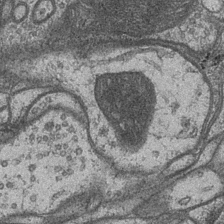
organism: Drosophila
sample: Optic medulla